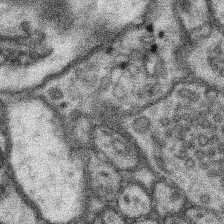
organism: Mouse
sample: Somatosensory cortex neuropil